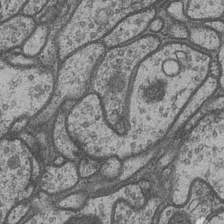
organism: Drosophila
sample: Optic medulla